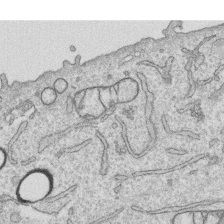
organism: Human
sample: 1205lu cells